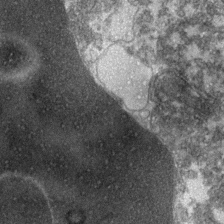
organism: Zebrafish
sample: Zebrafish embryo